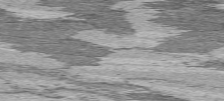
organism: C57BL Mouse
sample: Heart